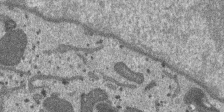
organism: Human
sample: Lung epithelial cells infected with SARS-CoV-2